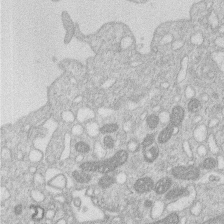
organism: Human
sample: Macrophage cells